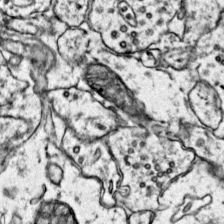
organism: Mouse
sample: Primary visual cortex